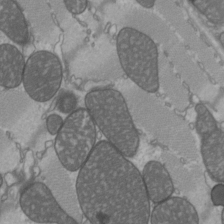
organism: C57BL Mouse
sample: Heart